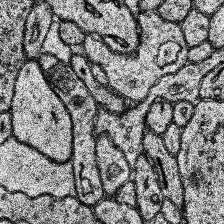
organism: Human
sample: Temporal Lobe